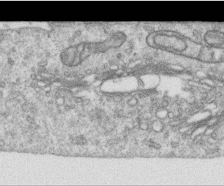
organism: Human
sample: Centriole in RPE cells